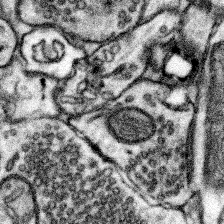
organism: Mouse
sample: Somatosensory cortex neuropil